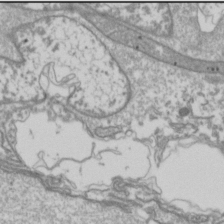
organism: Drosophila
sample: Cell division; meiosis; drosophila spermatocytes